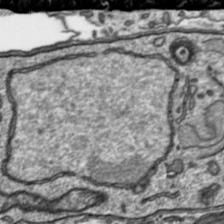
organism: Toxoplasma gondii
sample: Parasites in a vacuole inside a host cell